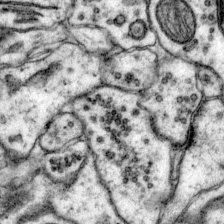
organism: Mouse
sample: Primary visual cortex